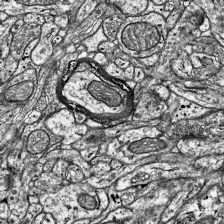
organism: Mouse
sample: Visual Cortex